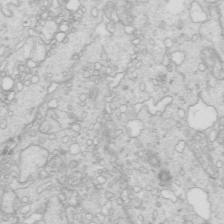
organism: Mouse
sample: Multiciliated cells